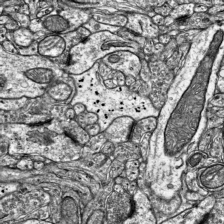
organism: Mouse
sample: Visual Cortex